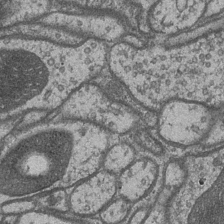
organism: Drosophila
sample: Optic medulla